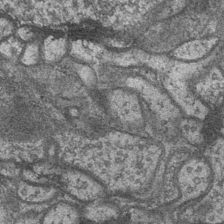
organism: Drosophila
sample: Optic medulla